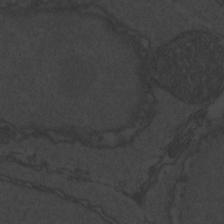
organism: Zebrafish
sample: Macrophage infected with Toxoplasma gondii